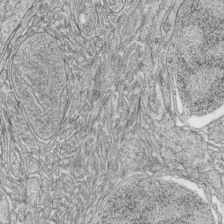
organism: Zebrafish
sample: synaptic ribbons in rod cells and cone cells